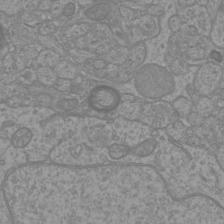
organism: Mouse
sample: Cortical neurons